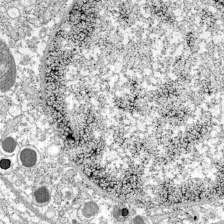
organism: C57BL Mouse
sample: Pancreatic islet